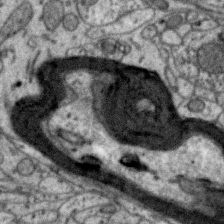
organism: Zebra finch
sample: Brain